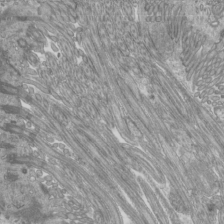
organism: Mouse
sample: Cilia; mouse epididymis